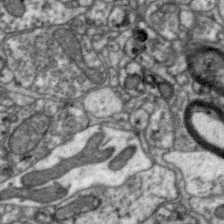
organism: Zebra finch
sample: Brain